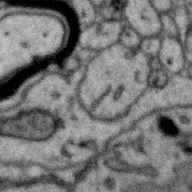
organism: Zebra finch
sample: Brain